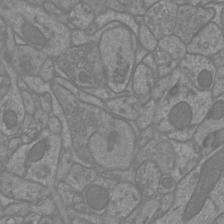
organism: Mouse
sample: Cortical neurons